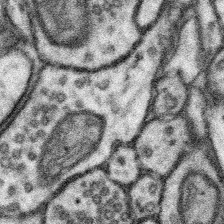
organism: Mouse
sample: Somatosensory cortex neuropil